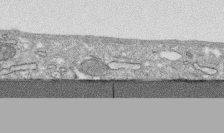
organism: Human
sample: CRL-1474